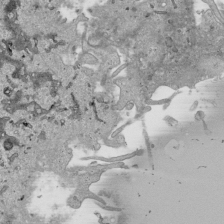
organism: Human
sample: Mitochondria in HCT116 cells